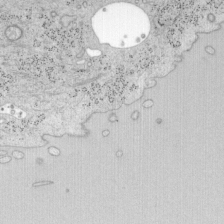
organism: Mouse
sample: OT-I killer T cells with ID8 ovarian cancer cells